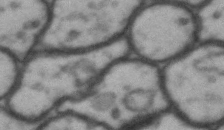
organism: Drosophila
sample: Brain